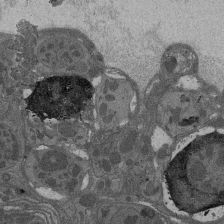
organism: Drosophila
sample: Antenna